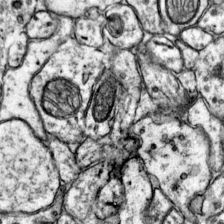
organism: Mouse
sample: Primary visual cortex